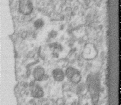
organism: Human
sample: Centriole in RPE cells